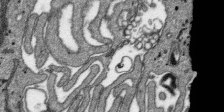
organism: Human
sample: Lung epithelial cells, uninfected (mock) control